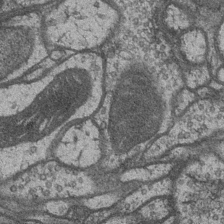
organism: Drosophila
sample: Optic medulla